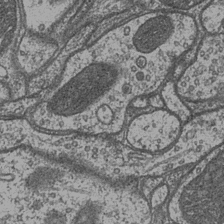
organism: Drosophila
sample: Optic medulla